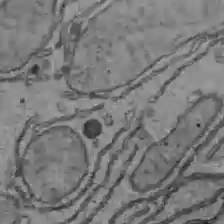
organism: C57BL Mouse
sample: Liver